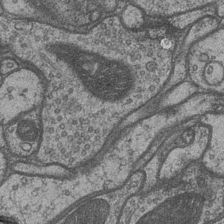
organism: Drosophila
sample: Optic medulla